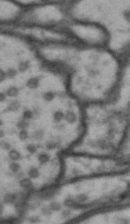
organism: Drosophila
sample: Brain